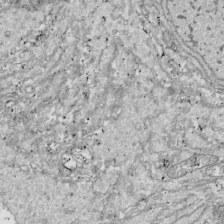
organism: Drosophila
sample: Cell division; meiosis; drosophila spermatocytes